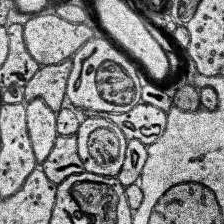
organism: Human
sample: Temporal Lobe